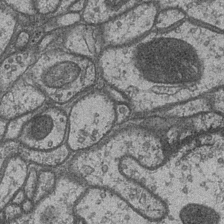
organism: Drosophila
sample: Optic medulla